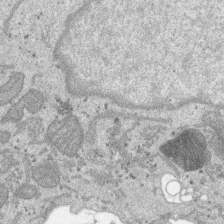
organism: Human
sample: Lung epithelial cells infected with SARS-CoV-2